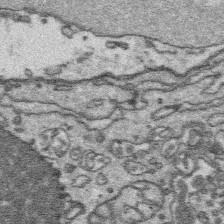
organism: Platynereis dumerilii